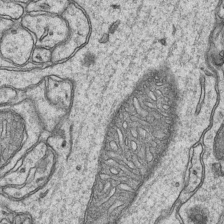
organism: Mouse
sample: CA1 Hippocampus